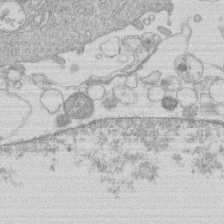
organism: Human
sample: Macrophage cells